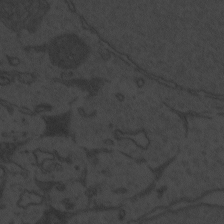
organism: Zebrafish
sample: Macrophage infected with Toxoplasma gondii